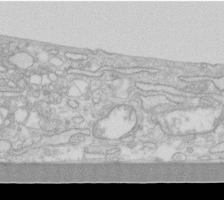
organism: Human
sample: Fibroblast cells